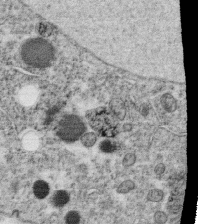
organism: C. elegans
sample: C. elegans oocyte; sperm cells